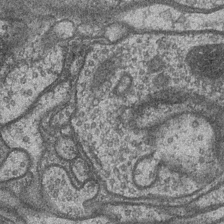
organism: Drosophila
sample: Optic medulla